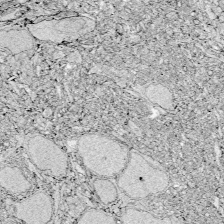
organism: Zebrafish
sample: Whole-Brain